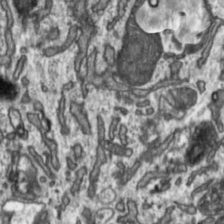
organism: Toxoplasma gondii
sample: Parasites in a vacuole inside a host cell